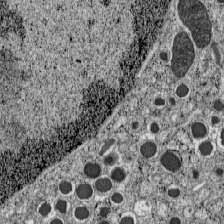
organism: C57BL Mouse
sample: Pancreatic islet